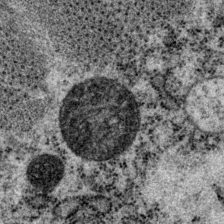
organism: P. pacificus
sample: Pharynx